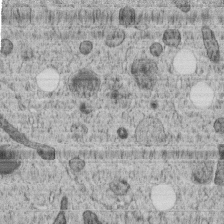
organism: C. elegans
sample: C. elegans embryo early stage